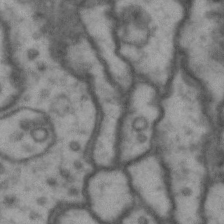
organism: Drosophila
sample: Brain